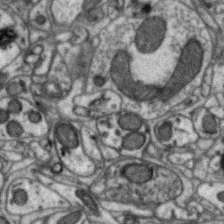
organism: Zebra finch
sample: Brain